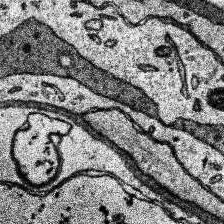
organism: Human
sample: Temporal Lobe